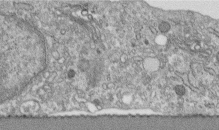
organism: Human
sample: Centriole in fibroblast cells